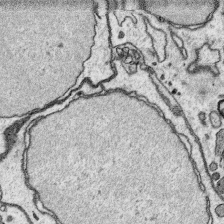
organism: Platynereis dumerilii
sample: Parapodia